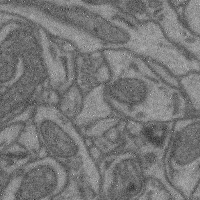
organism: Mouse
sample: Cerebral cortex